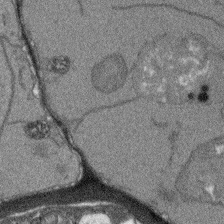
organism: Arabidopsis thaliana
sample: Root tip